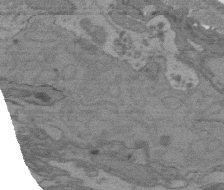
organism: C. elegans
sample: AFD neurons C. elegans